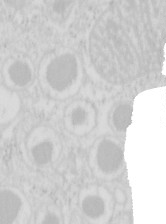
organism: Mouse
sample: Pancreas